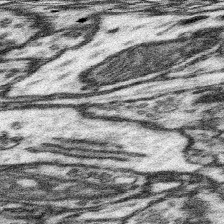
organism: Mouse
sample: Somatosensory cortex neuropil